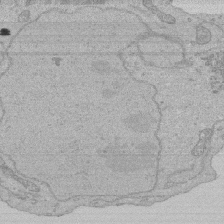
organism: Human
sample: Activated Jurkat CD4+ T cells